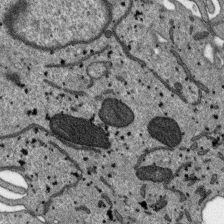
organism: Human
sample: Lung epithelial cells, uninfected (mock) control